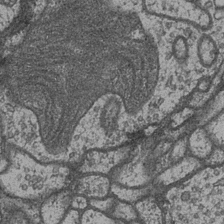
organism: Drosophila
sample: Optic medulla